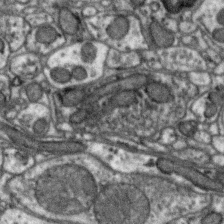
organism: Zebra finch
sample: Brain